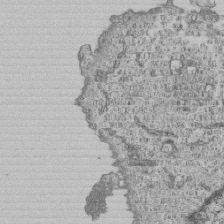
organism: Human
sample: MDA-MB-231 cells